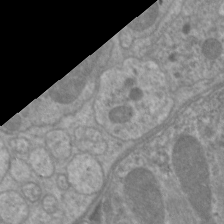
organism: C. elegans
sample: Pharynx